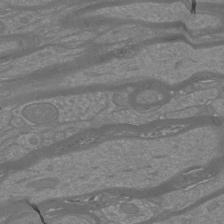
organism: Mouse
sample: Cortical neurons